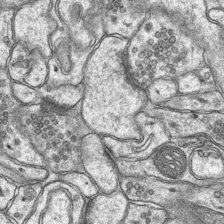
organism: Mouse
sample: CA1 Hippocampus